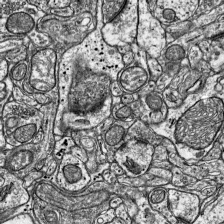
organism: Mouse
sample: Visual Cortex